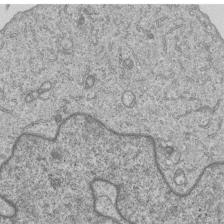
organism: Human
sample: MDA-MB-231 cells